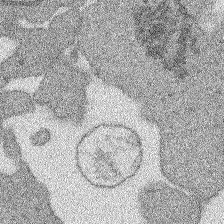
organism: Human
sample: HeLa cells